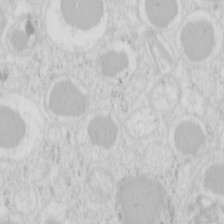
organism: Mouse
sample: Pancreas